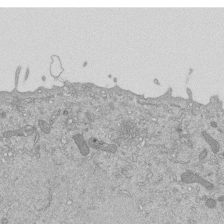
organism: Mouse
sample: ED-1 cell nuclei; centrioles